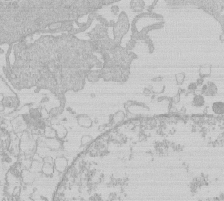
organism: Human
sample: Macrophage cells